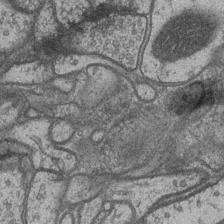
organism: Drosophila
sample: Optic medulla